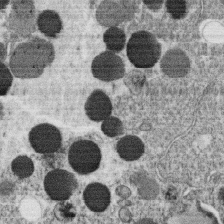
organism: C. elegans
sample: C. elegans oocyte; sperm cells